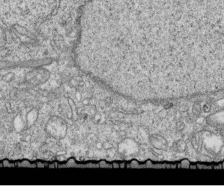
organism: Human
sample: HeLa cell HIV synapse